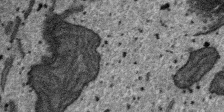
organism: Human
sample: Lung epithelial cells, uninfected (mock) control